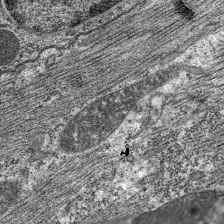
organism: C. elegans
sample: Pharynx